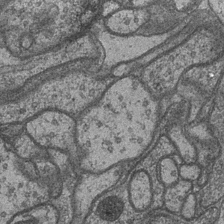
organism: Drosophila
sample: Optic medulla